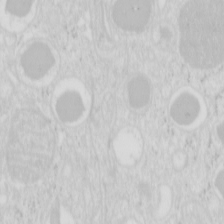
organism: Mouse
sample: Pancreas